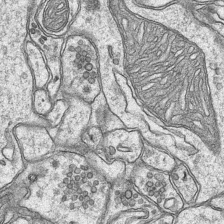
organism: Mouse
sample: CA1 Hippocampus